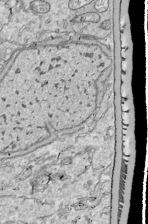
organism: Drosophila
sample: Cell division; meiosis; drosophila spermatocytes